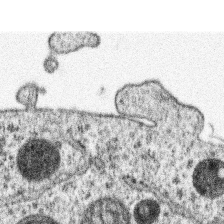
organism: Human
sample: HeLa cells